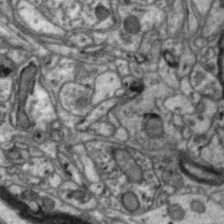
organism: Zebra finch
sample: Brain